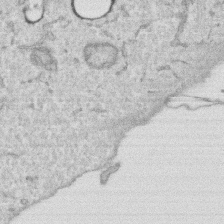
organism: Human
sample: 1205lu cells